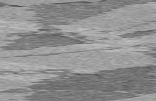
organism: C57BL Mouse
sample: Heart